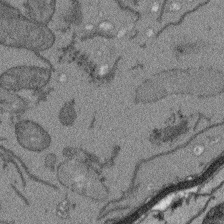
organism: Arabidopsis thaliana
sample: Root tip